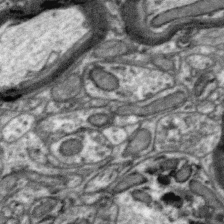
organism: Zebra finch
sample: Brain